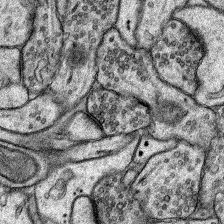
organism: Rat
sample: Hippocampus